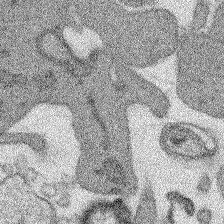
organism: Human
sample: HeLa cells